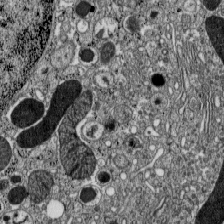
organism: C57BL Mouse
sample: Pancreatic islet